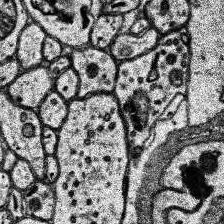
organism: Human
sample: Temporal Lobe